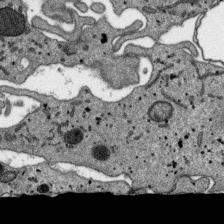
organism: Human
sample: Lung epithelial cells, uninfected (mock) control